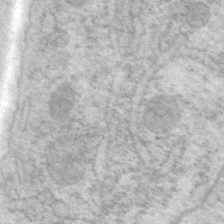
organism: P. pacificus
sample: Pharynx